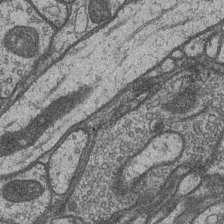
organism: Drosophila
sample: Optic medulla